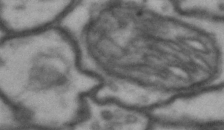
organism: Drosophila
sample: Brain